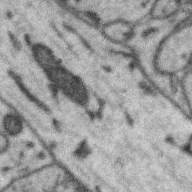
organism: Zebra finch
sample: Brain